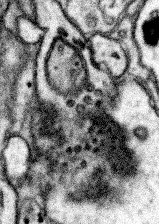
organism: Mouse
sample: Somatosensory cortex neuropil